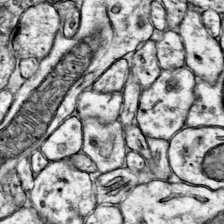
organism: Mouse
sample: Primary visual cortex